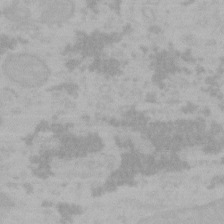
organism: Mouse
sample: Choroid plexus